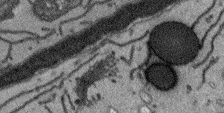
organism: Arabidopsis thaliana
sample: Root tip